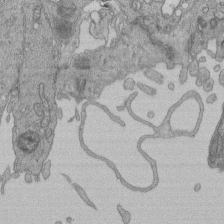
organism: Human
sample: Retinal organoid Rod and Cone cells